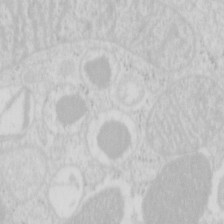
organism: Mouse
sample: Pancreas